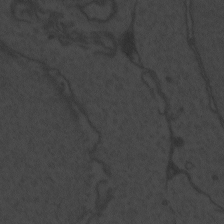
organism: Zebrafish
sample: Macrophage infected with Toxoplasma gondii